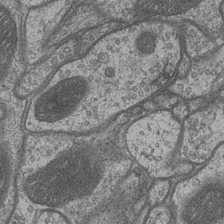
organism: Drosophila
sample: Optic medulla